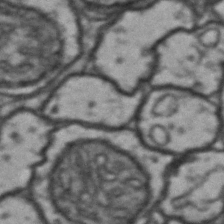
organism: Drosophila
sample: Brain